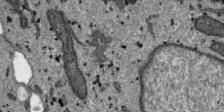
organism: Human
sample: Lung epithelial cells, uninfected (mock) control